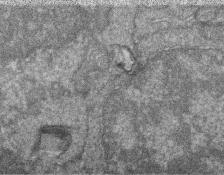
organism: Zebrafish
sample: Cilia; retinal pigment epithelium